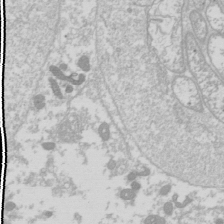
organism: Drosophila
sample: Cell division; meiosis; drosophila spermatocytes